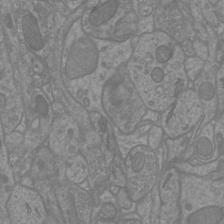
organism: Mouse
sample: Cortical neurons